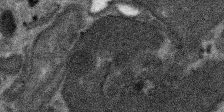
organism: Human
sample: Lung epithelial cells infected with SARS-CoV-2